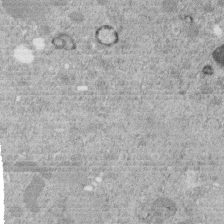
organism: C. elegans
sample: C. elegans embryo early stage